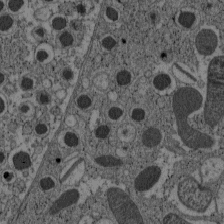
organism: C57BL Mouse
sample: Pancreatic islet